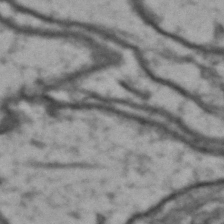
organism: Drosophila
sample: Brain